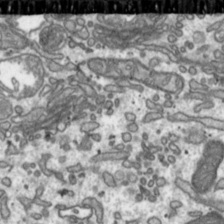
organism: Toxoplasma gondii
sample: Parasites in a vacuole inside a host cell